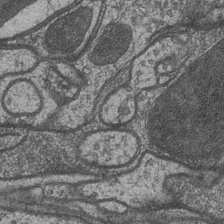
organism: Drosophila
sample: Optic medulla